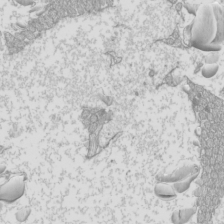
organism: Mouse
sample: Cilia; mouse epididymis